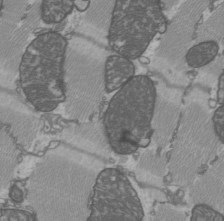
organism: C57BL Mouse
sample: Heart